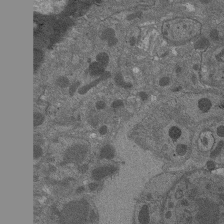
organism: Drosophila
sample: Antenna